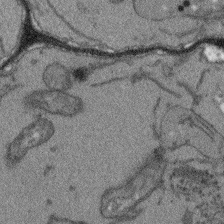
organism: Arabidopsis thaliana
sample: Root tip